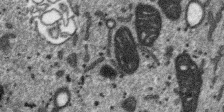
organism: Human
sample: Lung epithelial cells infected with SARS-CoV-2